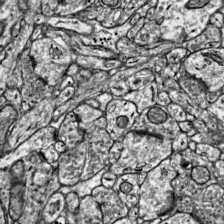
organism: Mouse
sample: Visual Cortex